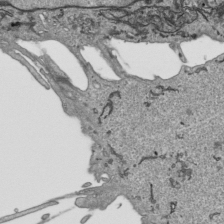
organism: Human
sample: Mitochondria in HCT116 cells